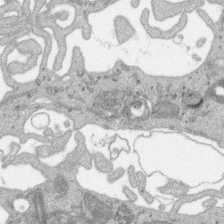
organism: Human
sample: Lung epithelial cells infected with SARS-CoV-2